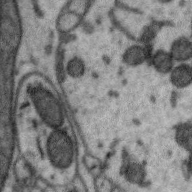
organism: Zebra finch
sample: Brain